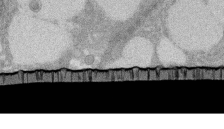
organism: Rat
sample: Salivary granule